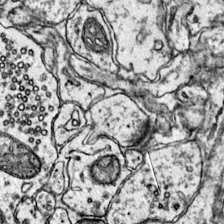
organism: Mouse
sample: Primary visual cortex